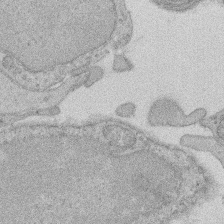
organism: Rat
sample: Salivary granule